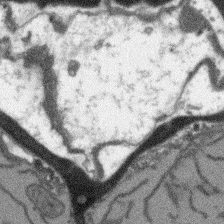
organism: Arabidopsis thaliana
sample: Root tip